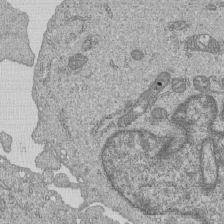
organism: Human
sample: MDA-MB-231 cells